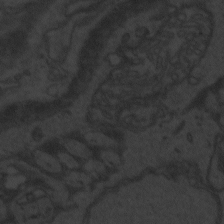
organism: Zebrafish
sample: Macrophage infected with Toxoplasma gondii